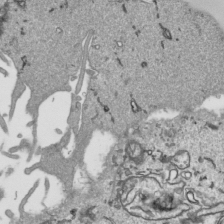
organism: Human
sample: Mitochondria in HCT116 cells